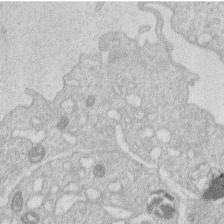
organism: Human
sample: Macrophage cells